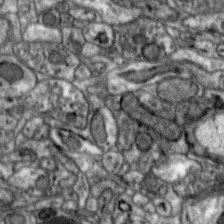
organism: Zebra finch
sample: Brain